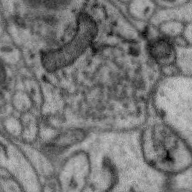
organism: Zebra finch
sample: Brain